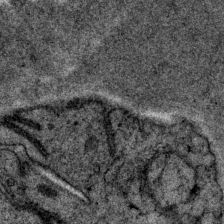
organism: P. pacificus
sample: Pharynx